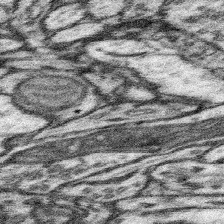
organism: Mouse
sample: Somatosensory cortex neuropil